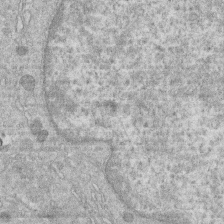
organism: Human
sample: Macrophage cells